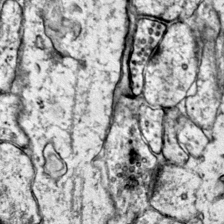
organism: Mouse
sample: Primary visual cortex